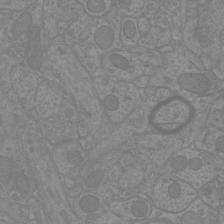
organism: Mouse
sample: Cortical neurons